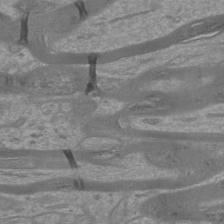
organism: Mouse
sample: Cortical neurons